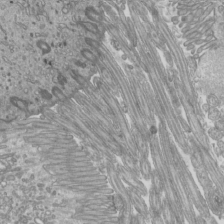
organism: Mouse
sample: Cilia; mouse epididymis